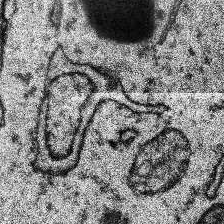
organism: Human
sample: Temporal Lobe